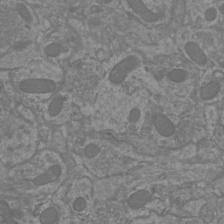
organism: Mouse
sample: Cortical neurons